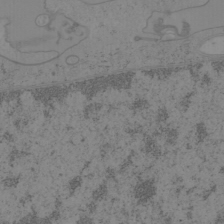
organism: Human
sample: HeLa cells